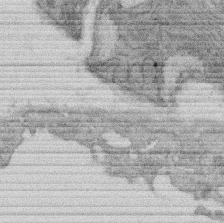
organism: Rat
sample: Salivary granule